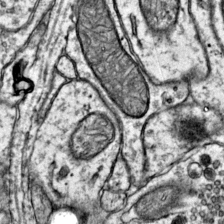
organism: Mouse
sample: Primary visual cortex